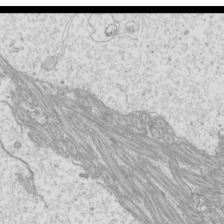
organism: Mouse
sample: Cilia; mouse epididymis